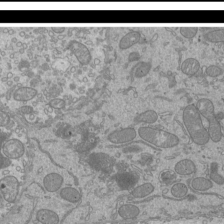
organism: Mouse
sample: Cilia; mouse epididymis